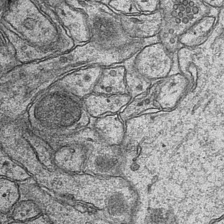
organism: Mouse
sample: CA1 Hippocampus